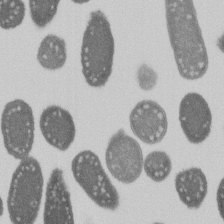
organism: E. coli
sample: Bacterial nucleoid